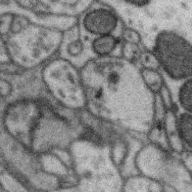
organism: Zebra finch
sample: Brain